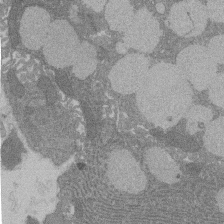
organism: Rat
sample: Salivary granule